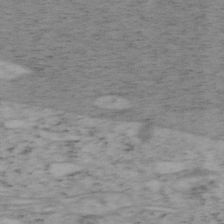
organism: Mouse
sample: OT-I killer T cells with ID8 ovarian cancer cells